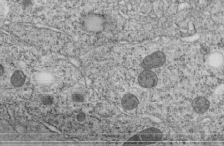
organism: C. elegans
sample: C. elegans embryo early stage